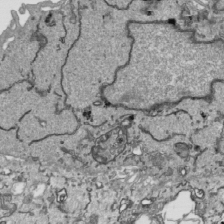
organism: Human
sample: Mitochondria in HCT116 cells